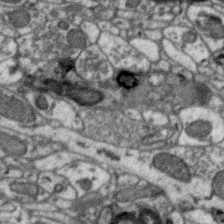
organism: Zebra finch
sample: Brain